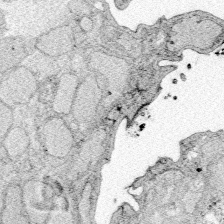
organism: Zebrafish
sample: Whole-Brain